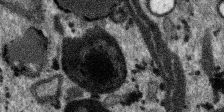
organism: Human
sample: Lung epithelial cells infected with SARS-CoV-2